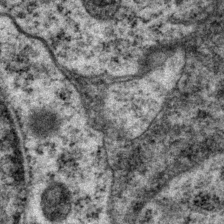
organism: P. pacificus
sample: Pharynx